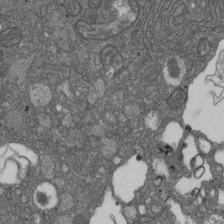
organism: Drosophila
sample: Nephrocyte